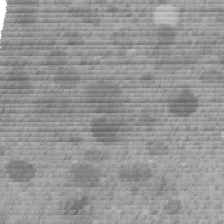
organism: C. elegans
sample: C. elegans embryo early stage